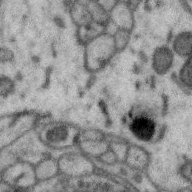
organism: Zebra finch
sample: Brain